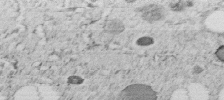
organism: C. elegans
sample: C. elegans embryo early stage